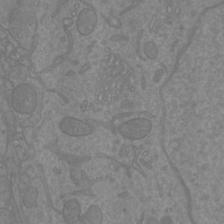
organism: Mouse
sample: Cortical neurons